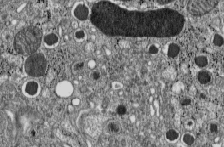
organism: C57BL Mouse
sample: Pancreatic islet